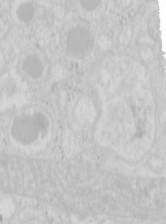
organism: Mouse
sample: Pancreas